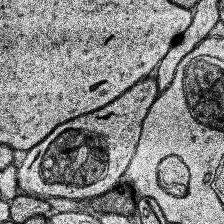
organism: Human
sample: Temporal Lobe